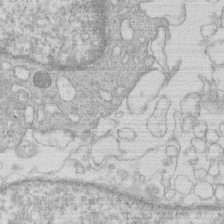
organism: Human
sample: Macrophage cells